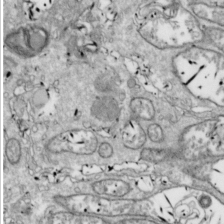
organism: Drosophila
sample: Cell division; meiosis; drosophila spermatocytes